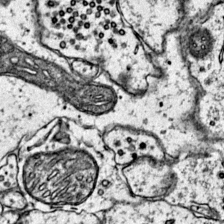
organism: Mouse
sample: Primary visual cortex